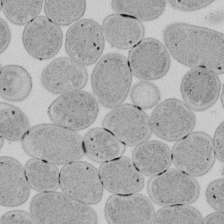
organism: E. coli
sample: Bacterial nucleoid